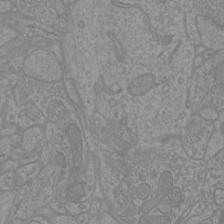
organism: Mouse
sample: Cortical neurons